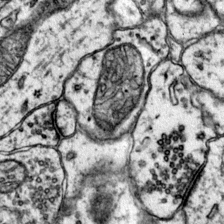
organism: Mouse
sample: Primary visual cortex